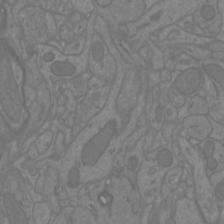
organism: Mouse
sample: Cortical neurons